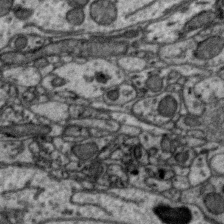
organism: Zebra finch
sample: Brain